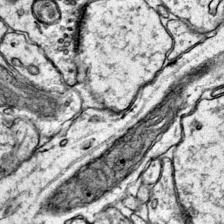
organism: Mouse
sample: Primary visual cortex